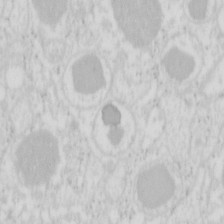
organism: Mouse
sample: Pancreas